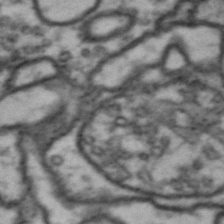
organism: Drosophila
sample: Brain